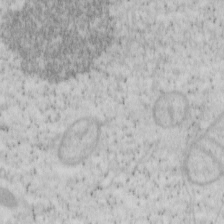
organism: Human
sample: HeLa cells